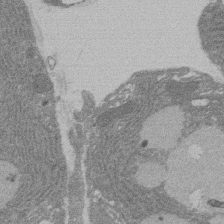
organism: Rat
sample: Salivary granule